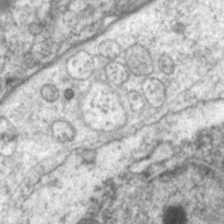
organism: C. elegans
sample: Pharynx